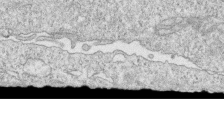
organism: Human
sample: HeLa cell HIV synapse